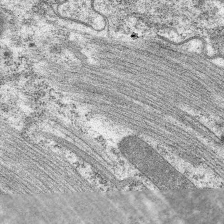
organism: C. elegans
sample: Pharynx